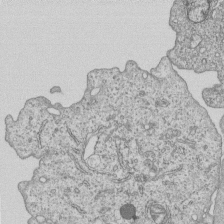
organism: Human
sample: MDA-MB-231 cells